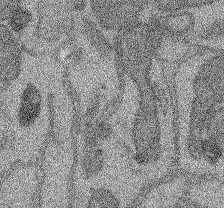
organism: Human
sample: HeLa cells